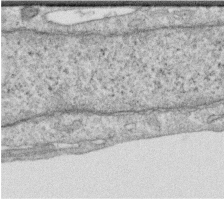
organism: Human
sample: Centriole in RPE cells